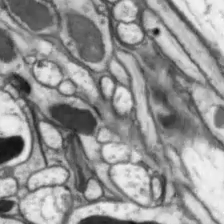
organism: Drosophila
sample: Optic lobe